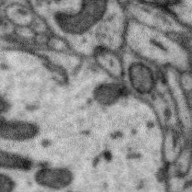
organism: Zebra finch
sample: Brain